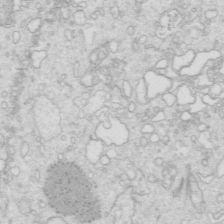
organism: Mouse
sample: Multiciliated cells